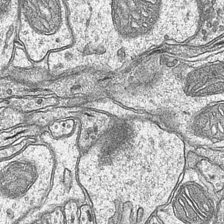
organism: Mouse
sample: CA1 Hippocampus